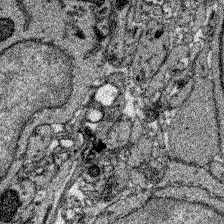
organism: Zebrafish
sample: Larval olfactory bulb